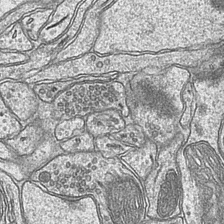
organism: Mouse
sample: CA1 Hippocampus